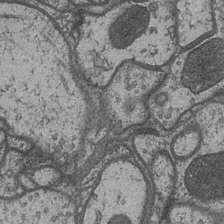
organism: Drosophila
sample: Optic medulla